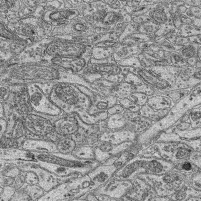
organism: Mouse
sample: Retina